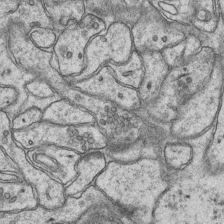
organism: Mouse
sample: CA1 Hippocampus